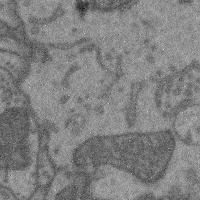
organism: Mouse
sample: Cerebral cortex